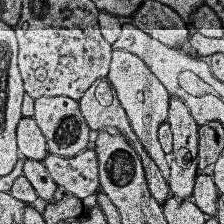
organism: Human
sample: Temporal Lobe